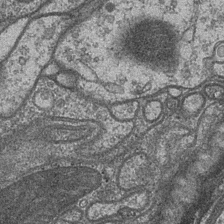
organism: Drosophila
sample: Optic medulla